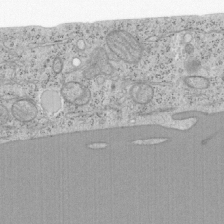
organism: Human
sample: HeLa cells